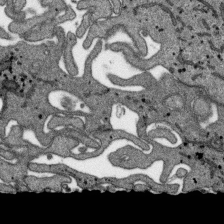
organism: Human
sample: Lung epithelial cells, uninfected (mock) control